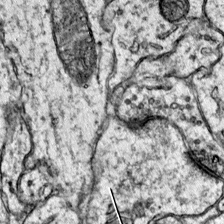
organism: Mouse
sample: Primary visual cortex